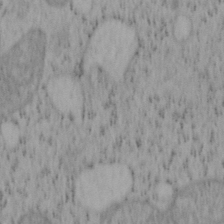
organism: Mouse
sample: OT-I killer T cells with ID8 ovarian cancer cells